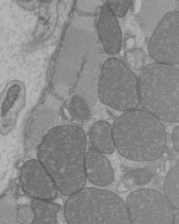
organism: C57BL Mouse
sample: Heart